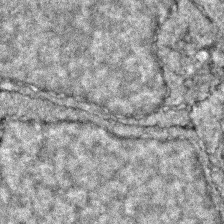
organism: Zebrafish